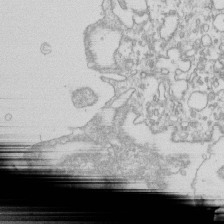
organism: Mouse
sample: Macrophages